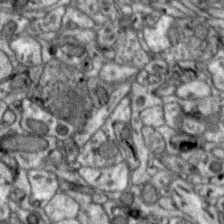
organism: Zebra finch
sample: Brain